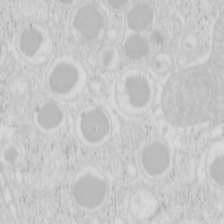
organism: Mouse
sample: Pancreas